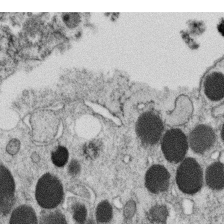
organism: C. elegans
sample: C. elegans oocyte; sperm cells